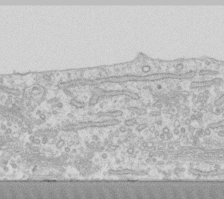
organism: Human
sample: Fibroblast cells